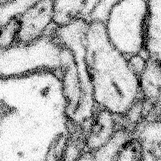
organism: Mouse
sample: Somatosensory cortex neuropil